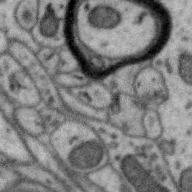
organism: Zebra finch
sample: Brain